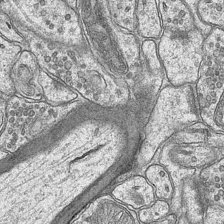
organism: Mouse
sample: CA1 Hippocampus